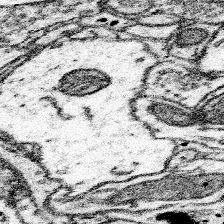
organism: Mouse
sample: Somatosensory cortex neuropil